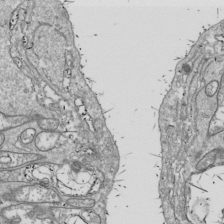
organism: Drosophila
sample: Cell division; meiosis; drosophila spermatocytes